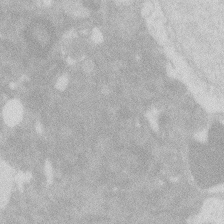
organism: Zebrafish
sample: Macrophage